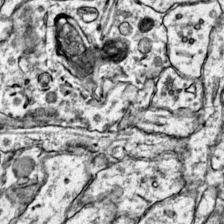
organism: Mouse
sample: Primary visual cortex